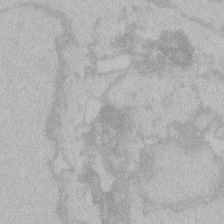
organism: Zebrafish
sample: Macrophage infected with Toxoplasma gondii